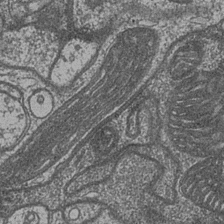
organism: Drosophila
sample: Optic medulla